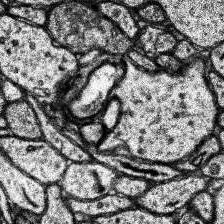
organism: Human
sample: Temporal Lobe